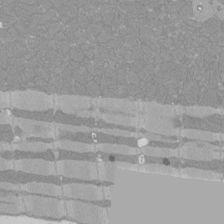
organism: Rat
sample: Left ventricle